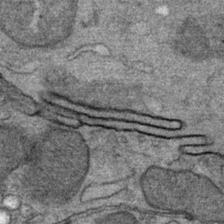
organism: Mouse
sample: Mouse Salivary gland